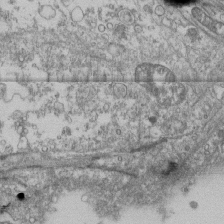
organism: Human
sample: Fibroblast cells